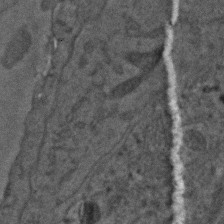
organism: C. elegans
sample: C. elegans embryo